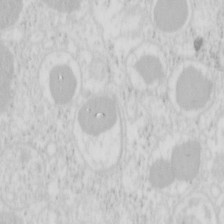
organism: Mouse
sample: Pancreas